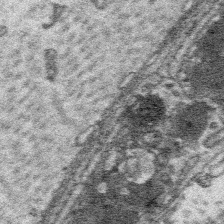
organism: Platynereis dumerilii